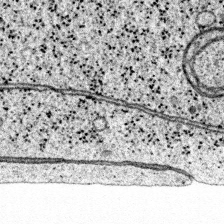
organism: Human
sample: HeLa cells